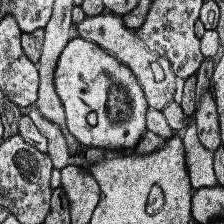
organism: Human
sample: Temporal Lobe